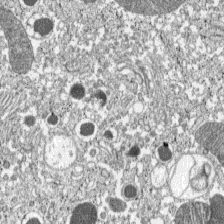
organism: C57BL Mouse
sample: Pancreatic islet